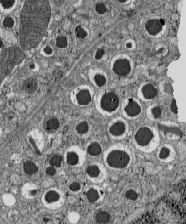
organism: C57BL Mouse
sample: Pancreatic islet